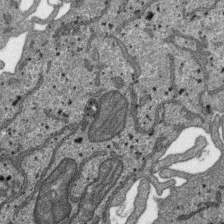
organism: Human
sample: Lung epithelial cells infected with SARS-CoV-2